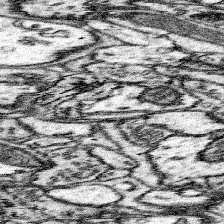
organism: Mouse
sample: Somatosensory cortex neuropil